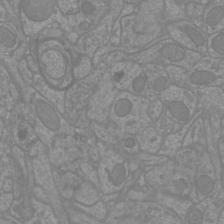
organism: Mouse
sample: Cortical neurons